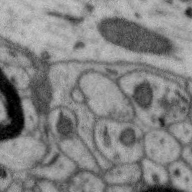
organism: Zebra finch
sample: Brain